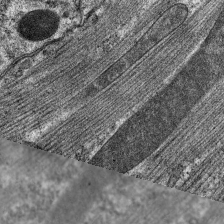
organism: C. elegans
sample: Pharynx